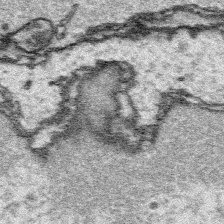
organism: Platynereis dumerilii